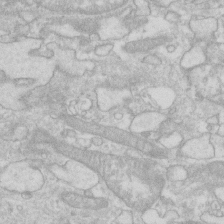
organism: Human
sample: Fibroblast cells